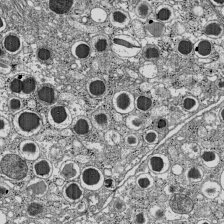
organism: C57BL Mouse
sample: Pancreatic islet